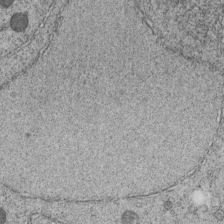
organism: C. elegans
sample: C. elegans embryo early stage